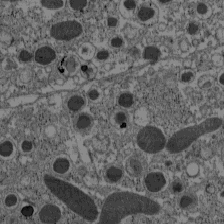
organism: C57BL Mouse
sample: Pancreatic islet